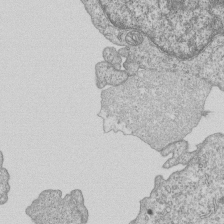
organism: Human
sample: MDA-MB-231 cells